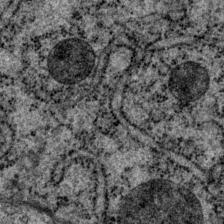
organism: P. pacificus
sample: Pharynx